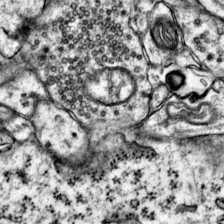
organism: Mouse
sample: Primary visual cortex